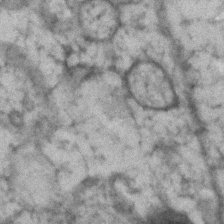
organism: Human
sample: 1205lu cells